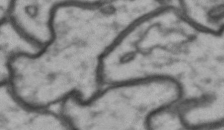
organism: Drosophila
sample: Brain